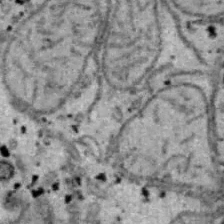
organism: Mouse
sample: Liver from an obese (ob/ob) mouse